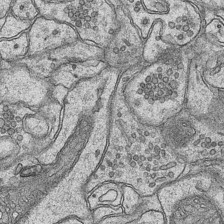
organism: Mouse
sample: CA1 Hippocampus